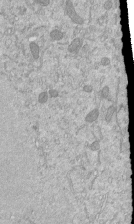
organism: Mouse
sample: ED-1 cell nuclei; centrioles